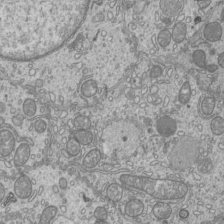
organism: Mouse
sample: Cilia; mouse epididymis